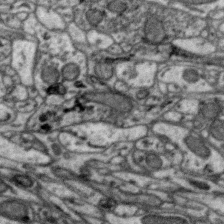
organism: Zebra finch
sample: Brain